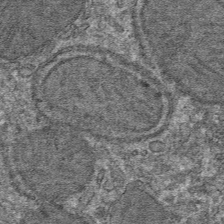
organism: Mouse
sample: Mouse hepatocytes